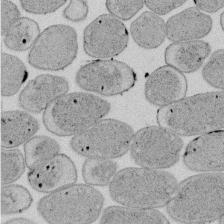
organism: E. coli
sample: Bacterial nucleoid